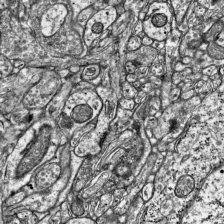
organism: Mouse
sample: Visual Cortex